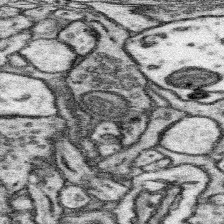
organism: Mouse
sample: Somatosensory cortex neuropil